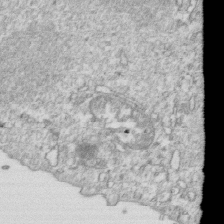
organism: Mouse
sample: Activated OT-1 CD8+ T cells